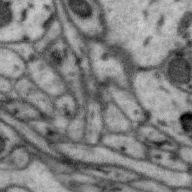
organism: Zebra finch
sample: Brain